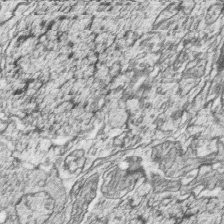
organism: Zebrafish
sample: synaptic ribbons in rod cells and cone cells